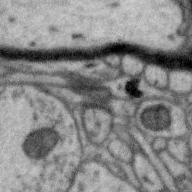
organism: Zebra finch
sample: Brain